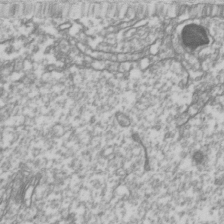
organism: Drosophila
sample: Cell division; meiosis; drosophila spermatocytes